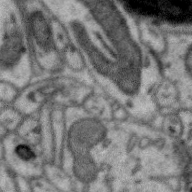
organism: Zebra finch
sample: Brain